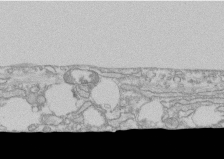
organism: Human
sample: CRL-1474